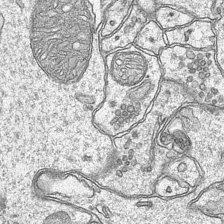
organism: Mouse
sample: CA1 Hippocampus